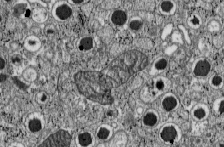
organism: C57BL Mouse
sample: Pancreatic islet